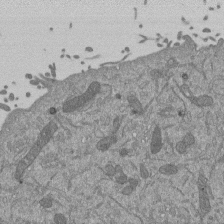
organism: Mouse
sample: ED-1 cell nuclei; centrioles